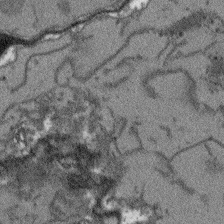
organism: Arabidopsis thaliana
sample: Root tip